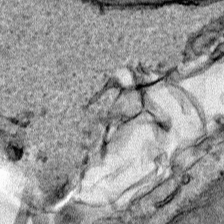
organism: Human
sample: Mitochondria in HCT116 cells